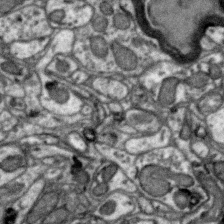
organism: Zebra finch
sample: Brain